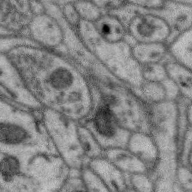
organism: Zebra finch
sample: Brain